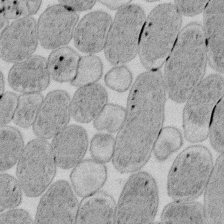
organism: E. coli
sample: Bacterial nucleoid